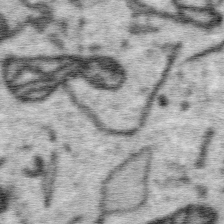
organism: Human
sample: HeLa cells